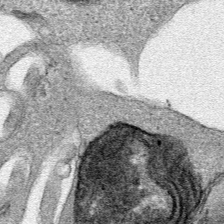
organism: Human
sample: Mitochondria in HCT116 cells